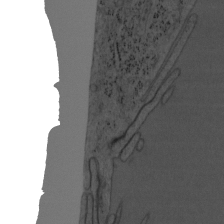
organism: Mouse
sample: OT-I killer T cells with ID8 ovarian cancer cells